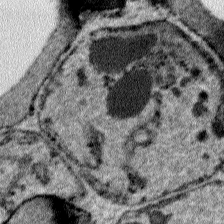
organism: Plasmodium falciparum